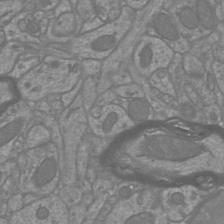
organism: Mouse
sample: Cortical neurons